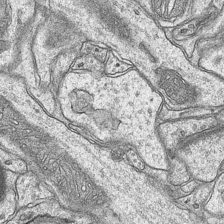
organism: Mouse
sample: CA1 Hippocampus